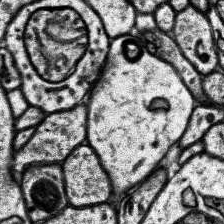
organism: Human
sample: Temporal Lobe